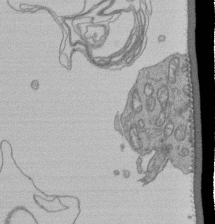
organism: Human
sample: Retinal organoid Rod and Cone cells